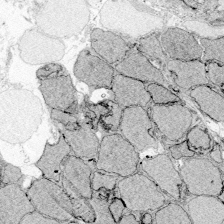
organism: Zebrafish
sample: Whole-Brain